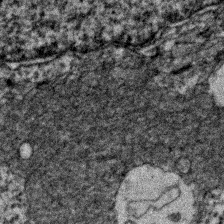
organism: Zebrafish